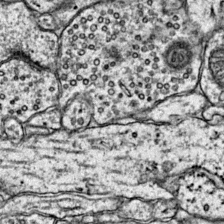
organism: Mouse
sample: Primary visual cortex